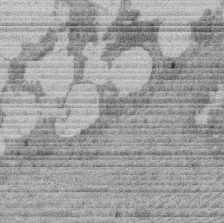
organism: Rat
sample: Salivary granule